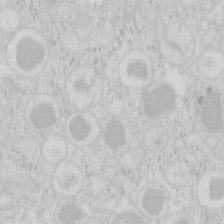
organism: Mouse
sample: Pancreas